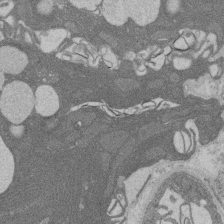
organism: Rat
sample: Salivary granule